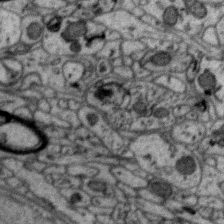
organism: Zebra finch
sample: Brain